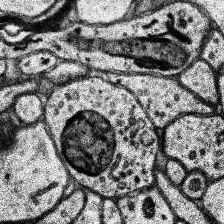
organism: Human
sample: Temporal Lobe